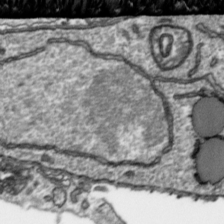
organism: Toxoplasma gondii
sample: Parasites in a vacuole inside a host cell